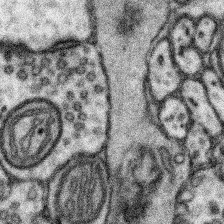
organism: Mouse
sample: Somatosensory cortex neuropil